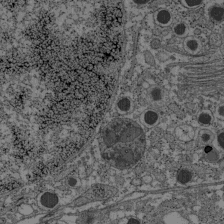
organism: C57BL Mouse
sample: Pancreatic islet